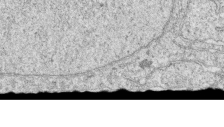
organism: Human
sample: HeLa cell HIV synapse